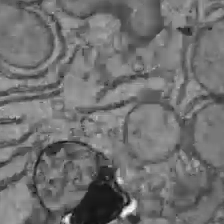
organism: C57BL Mouse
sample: Liver